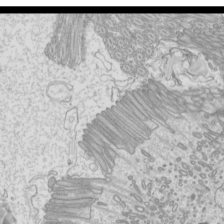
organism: Mouse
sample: Cilia; mouse epididymis